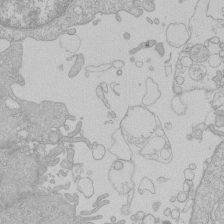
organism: Human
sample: Macrophage cells